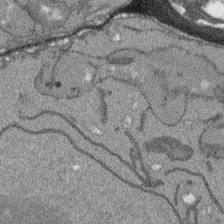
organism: Arabidopsis thaliana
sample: Root tip